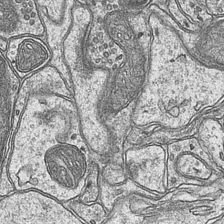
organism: Mouse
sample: CA1 Hippocampus